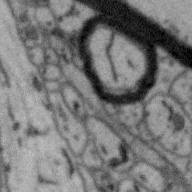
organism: Zebra finch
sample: Brain